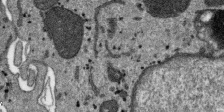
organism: Human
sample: Lung epithelial cells, uninfected (mock) control